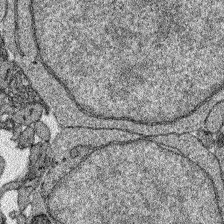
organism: Zebrafish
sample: Larval olfactory bulb